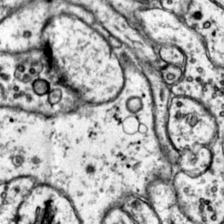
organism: Mouse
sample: Primary visual cortex